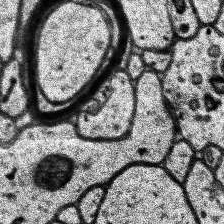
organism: Human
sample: Temporal Lobe